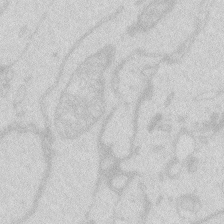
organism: Zebrafish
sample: Macrophage